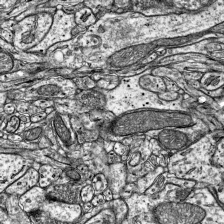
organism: Mouse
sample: Visual Cortex